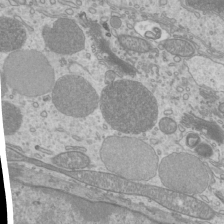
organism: Mouse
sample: Cilia; mouse epididymis